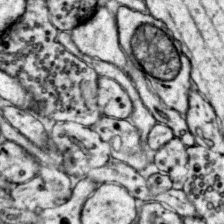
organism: Mouse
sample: Primary visual cortex